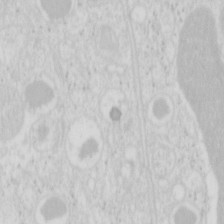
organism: Mouse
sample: Pancreas